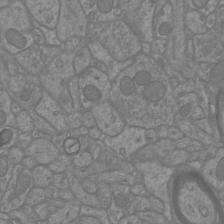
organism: Mouse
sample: Cortical neurons